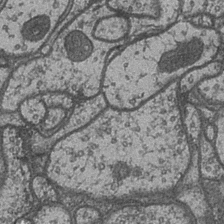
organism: Drosophila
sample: Optic medulla